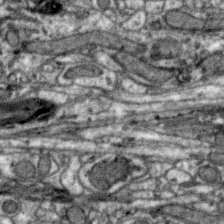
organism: Zebra finch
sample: Brain